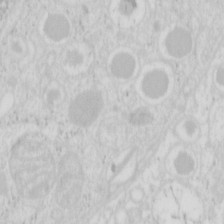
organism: Mouse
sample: Pancreas